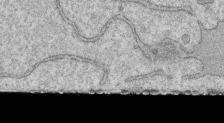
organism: Human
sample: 1205lu cells